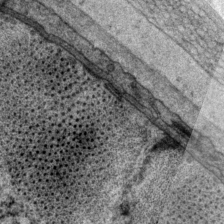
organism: P. pacificus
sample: Pharynx